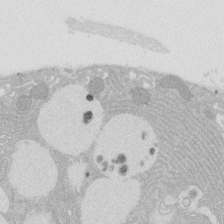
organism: Rat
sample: Salivary granule